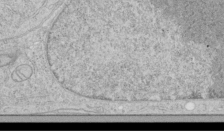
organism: Human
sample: Mitochondria in HCT116 cells